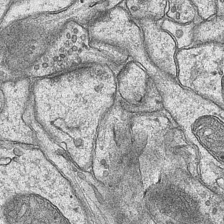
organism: Mouse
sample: CA1 Hippocampus